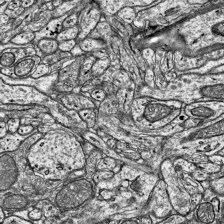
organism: Mouse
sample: Visual Cortex